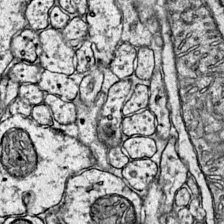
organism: Mouse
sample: Primary visual cortex